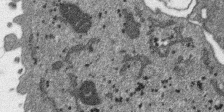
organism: Human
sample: Lung epithelial cells infected with SARS-CoV-2